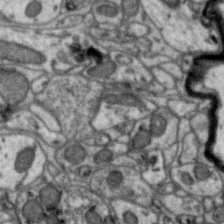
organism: Zebra finch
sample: Brain